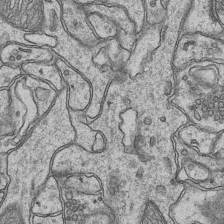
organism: Mouse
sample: CA1 Hippocampus